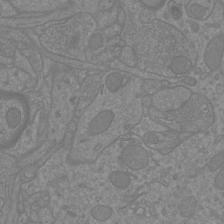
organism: Mouse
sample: Cortical neurons